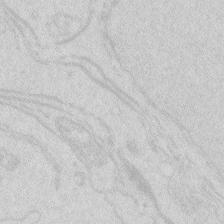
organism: Zebrafish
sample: Macrophage